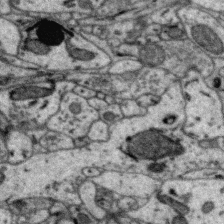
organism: Zebra finch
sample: Brain